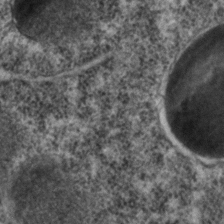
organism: C. elegans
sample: C. elegans embryo